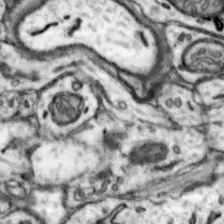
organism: Mouse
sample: Nucleus accumbens